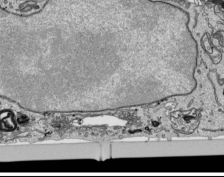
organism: Human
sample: Mitochondria in HCT116 cells